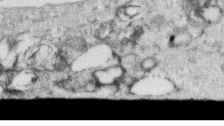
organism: Human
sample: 1205lu cells